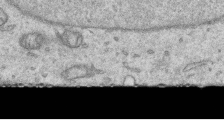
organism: Human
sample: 1205lu cells